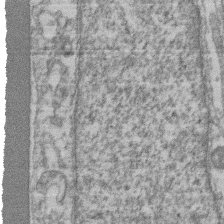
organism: Mouse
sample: T cell stromal cell synapse